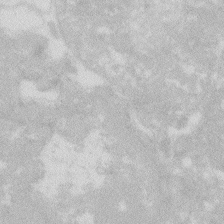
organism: Zebrafish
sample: Macrophage